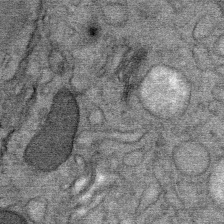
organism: Mouse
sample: Mouse Salivary gland